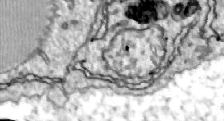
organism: Zebrafish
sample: Actinotrichia fibers